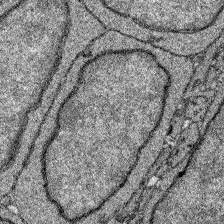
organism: Zebrafish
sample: Larval olfactory bulb